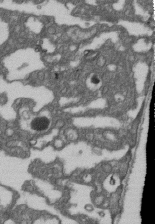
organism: Drosophila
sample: Nephrocyte